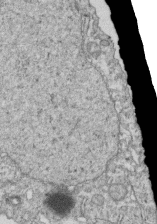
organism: Human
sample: HeLa cell HIV synapse